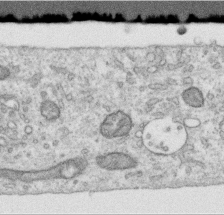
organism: Human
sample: Centriole in RPE cells